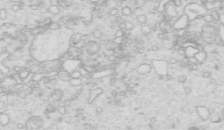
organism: Mouse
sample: Multiciliated cells